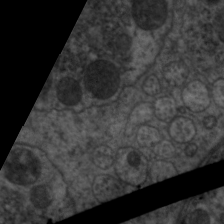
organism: C. elegans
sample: Pharynx